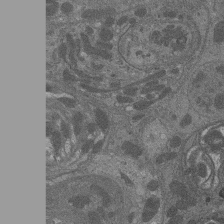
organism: Drosophila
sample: Antenna